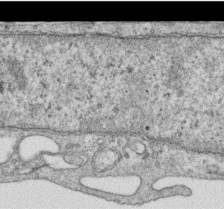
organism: Human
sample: Centriole in RPE cells